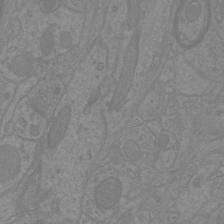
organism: Mouse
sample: Cortical neurons